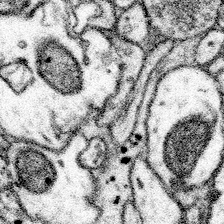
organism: Mouse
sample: Somatosensory cortex neuropil